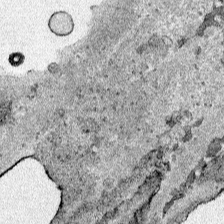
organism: Human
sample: Mitochondria in HCT116 cells